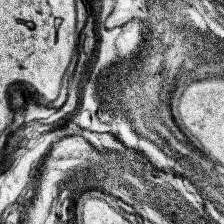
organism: Human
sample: Temporal Lobe